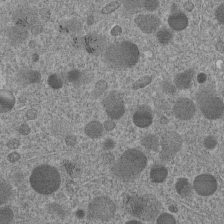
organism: C. elegans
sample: C. elegans embryo early stage